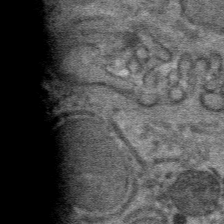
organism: Mouse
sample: Mouse hepatocytes